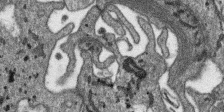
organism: Human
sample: Lung epithelial cells infected with SARS-CoV-2